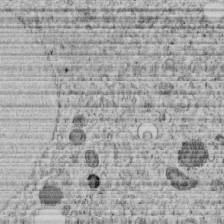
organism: C. elegans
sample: C. elegans embryo early stage